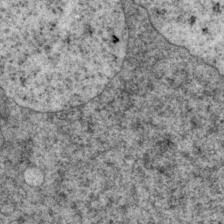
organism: P. pacificus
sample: Pharynx